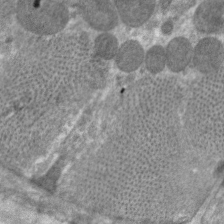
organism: C. elegans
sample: Pharynx